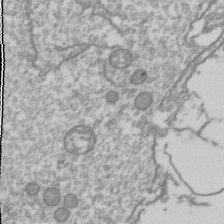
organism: Drosophila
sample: Cell division; meiosis; drosophila spermatocytes